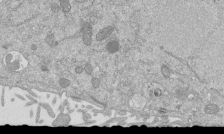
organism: Mouse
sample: ED-1 cell nuclei; centrioles